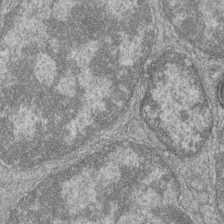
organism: Zebrafish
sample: Cilia; retinal pigment epithelium